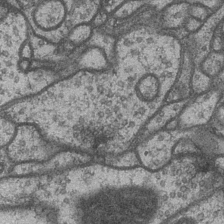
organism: Drosophila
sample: Optic medulla